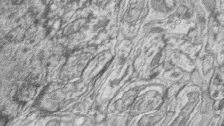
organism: Zebrafish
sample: synaptic ribbons in rod cells and cone cells